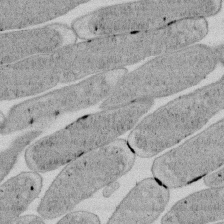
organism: E. coli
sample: Bacterial nucleoid